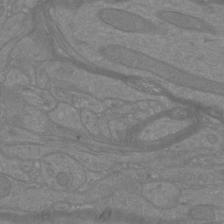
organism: Mouse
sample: Cortical neurons